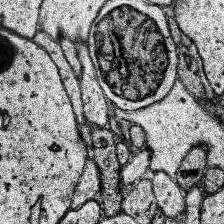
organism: Human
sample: Temporal Lobe